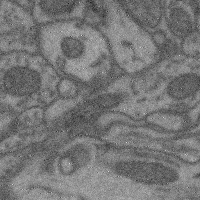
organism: Mouse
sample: Cerebral cortex